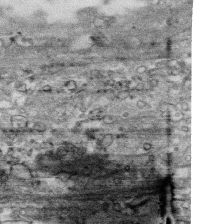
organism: Human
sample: CRL-1474